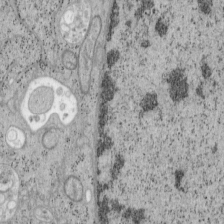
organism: Mouse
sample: OT-I killer T cells with ID8 ovarian cancer cells